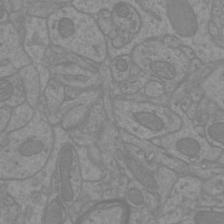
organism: Mouse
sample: Cortical neurons